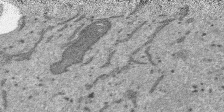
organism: Human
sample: Lung epithelial cells infected with SARS-CoV-2